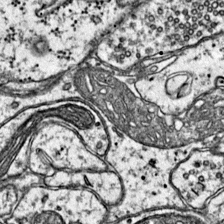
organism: Mouse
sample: Primary visual cortex